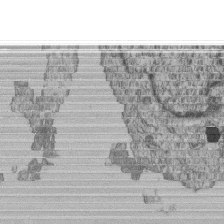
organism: Human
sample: MDA-MB-231 cells